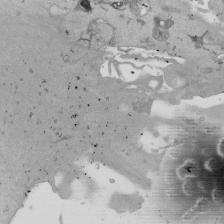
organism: Mouse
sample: ED-1 cell nuclei; centrioles